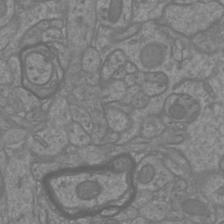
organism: Mouse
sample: Cortical neurons